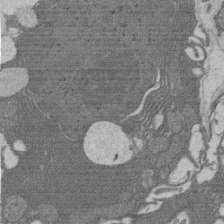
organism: Rat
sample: Salivary granule